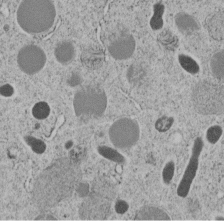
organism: C. elegans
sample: C. elegans embryo early stage